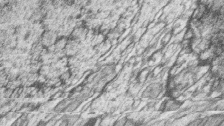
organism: Zebrafish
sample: synaptic ribbons in rod cells and cone cells